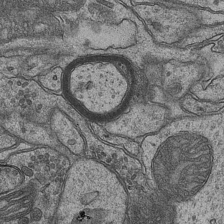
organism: Mouse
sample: CA1 Hippocampus